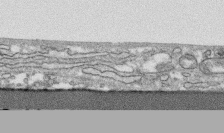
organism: Human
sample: CRL-1474